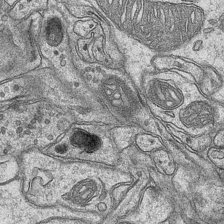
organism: Mouse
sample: CA1 Hippocampus